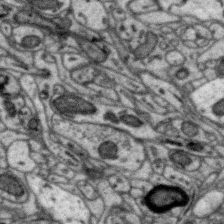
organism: Zebra finch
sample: Brain